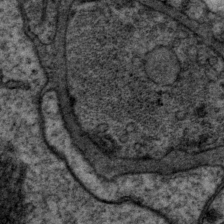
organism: P. pacificus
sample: Pharynx